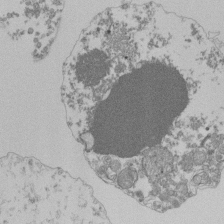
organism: Mouse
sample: Activated Pmel transgenic CD8+ T Cells